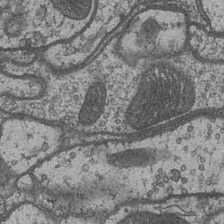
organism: Drosophila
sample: Optic medulla